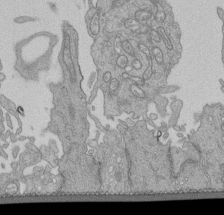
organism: Human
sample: Retinal organoid Rod and Cone cells